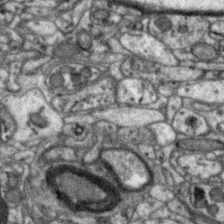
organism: Zebra finch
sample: Brain